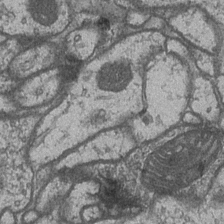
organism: Drosophila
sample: Optic medulla